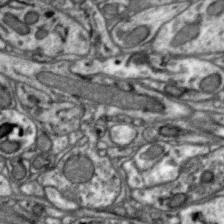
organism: Zebra finch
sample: Brain